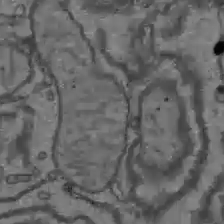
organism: C57BL Mouse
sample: Liver